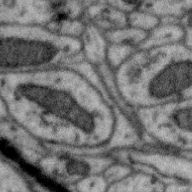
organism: Zebra finch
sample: Brain